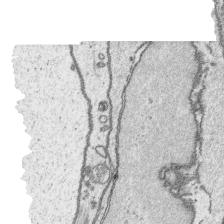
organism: Platynereis dumerilii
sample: Parapodia